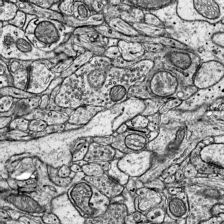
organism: Mouse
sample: Visual Cortex